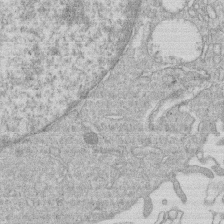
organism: Human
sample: Macrophage cells